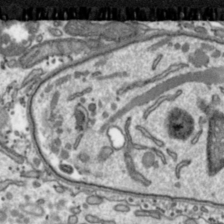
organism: Toxoplasma gondii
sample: Parasites in a vacuole inside a host cell